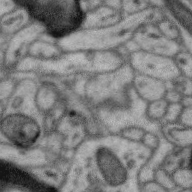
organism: Zebra finch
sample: Brain